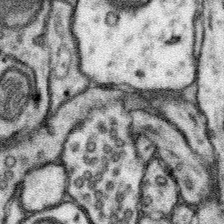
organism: Mouse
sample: Somatosensory cortex neuropil